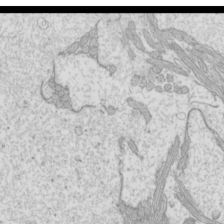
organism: Mouse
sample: Cilia; mouse epididymis